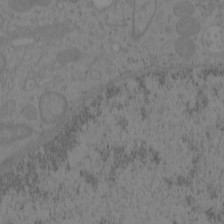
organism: Human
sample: HeLa cells